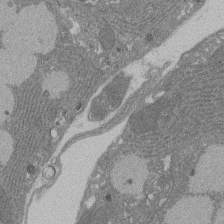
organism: Rat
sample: Salivary granule